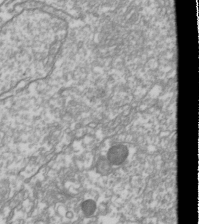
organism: Drosophila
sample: Cell division; meiosis; drosophila spermatocytes